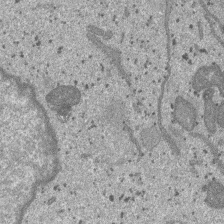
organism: Human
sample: Lung epithelial cells infected with SARS-CoV-2